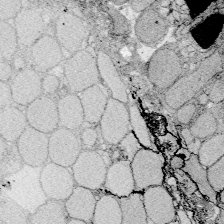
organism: Zebrafish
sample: Whole-Brain